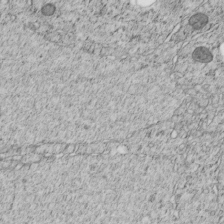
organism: C. elegans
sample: C. elegans embryo early stage